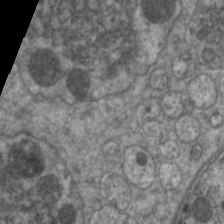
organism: C. elegans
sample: Pharynx